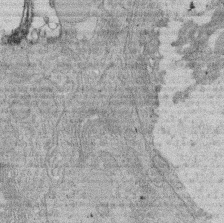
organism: Rat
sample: Salivary granule